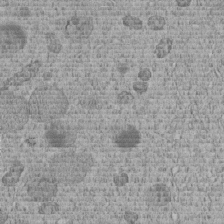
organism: C. elegans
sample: C. elegans embryo early stage